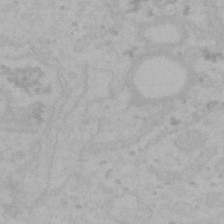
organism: Mouse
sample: Choroid plexus